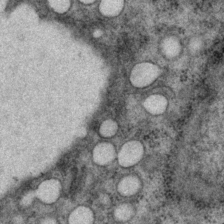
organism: P. pacificus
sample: Pharynx